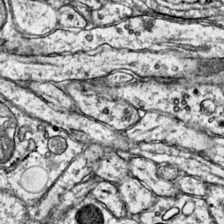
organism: Mouse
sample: Primary visual cortex